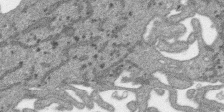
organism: Human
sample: Lung epithelial cells infected with SARS-CoV-2